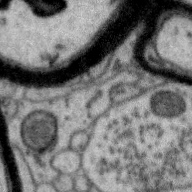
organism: Zebra finch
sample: Brain